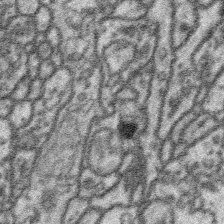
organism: Platynereis dumerilii